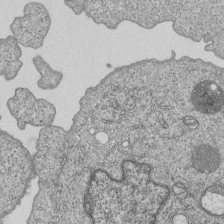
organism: Human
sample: MDA-MB-231 cells